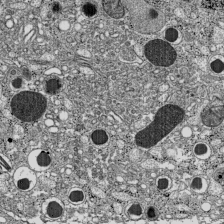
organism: C57BL Mouse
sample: Pancreatic islet